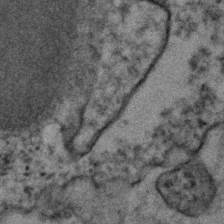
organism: Human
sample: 1205lu cells